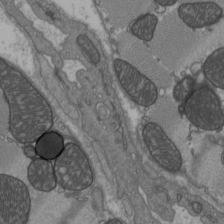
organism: C57BL Mouse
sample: Heart